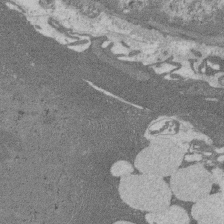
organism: Rat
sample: Salivary granule